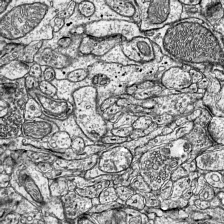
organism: Mouse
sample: Visual Cortex